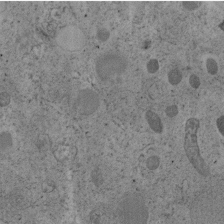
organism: C. elegans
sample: C. elegans embryo early stage